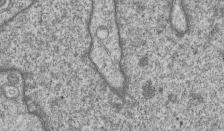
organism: Human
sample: MDA-MB-231 cells